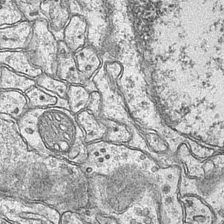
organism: Mouse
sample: CA1 Hippocampus